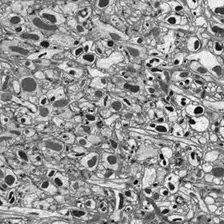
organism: Drosophila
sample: Optic lobe